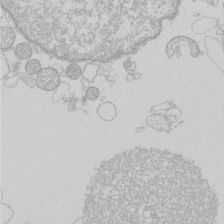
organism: Human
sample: Macrophage cells